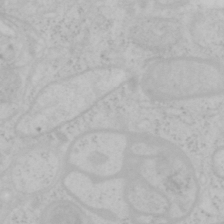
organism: Mouse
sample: OT-I killer T cells with ID8 ovarian cancer cells